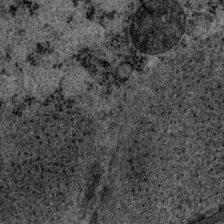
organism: P. pacificus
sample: Pharynx